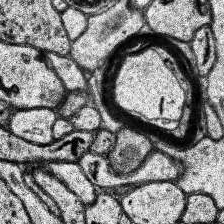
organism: Human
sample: Temporal Lobe